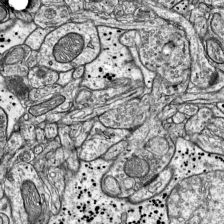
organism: Mouse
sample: Visual Cortex